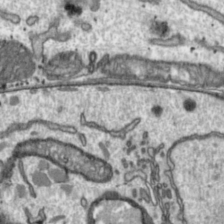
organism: Toxoplasma gondii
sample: Parasites in a vacuole inside a host cell